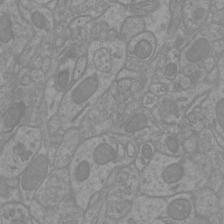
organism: Mouse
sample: Cortical neurons